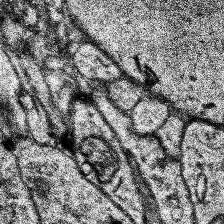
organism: Human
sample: Temporal Lobe